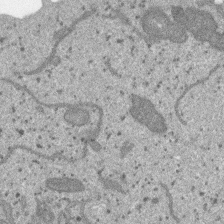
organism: Human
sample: Lung epithelial cells infected with SARS-CoV-2